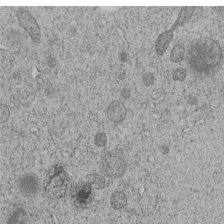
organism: C. elegans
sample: C. elegans embryo early stage